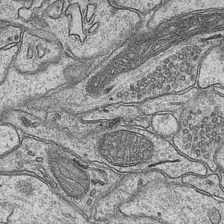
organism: Mouse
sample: CA1 Hippocampus